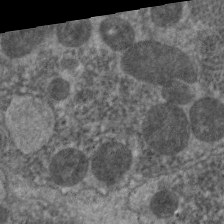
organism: C. elegans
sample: Pharynx